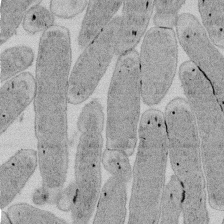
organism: E. coli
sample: Bacterial nucleoid